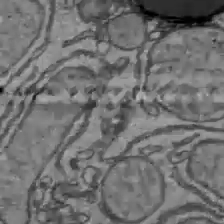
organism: C57BL Mouse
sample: Liver